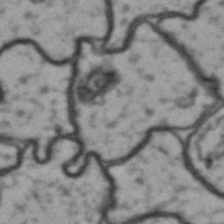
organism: Drosophila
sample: Brain